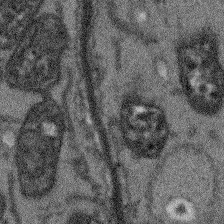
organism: Arabidopsis thaliana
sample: Root tip